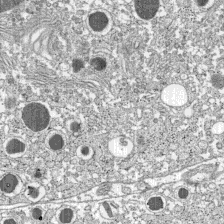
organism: C57BL Mouse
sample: Pancreatic islet